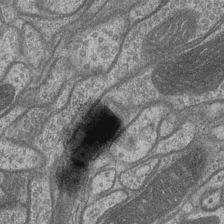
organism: Drosophila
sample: Optic medulla